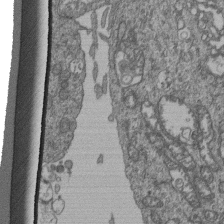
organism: Human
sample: Retinal organoid Rod and Cone cells